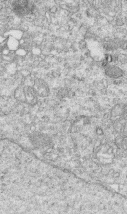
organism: Human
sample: HeLa cell HIV synapse